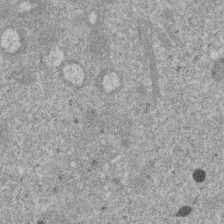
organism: Mouse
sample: Dividing mouse embryo 1 cell stage